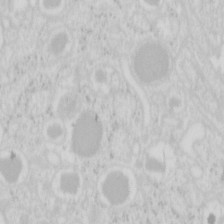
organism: Mouse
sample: Pancreas